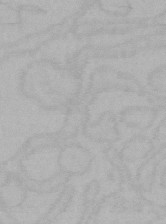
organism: Mouse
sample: Choroid plexus